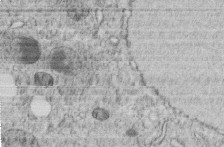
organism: C. elegans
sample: C. elegans embryo early stage